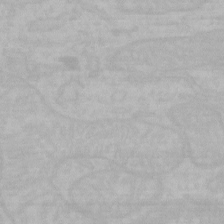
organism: Mouse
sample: Choroid plexus